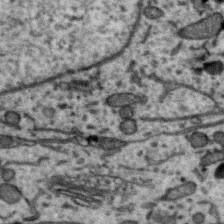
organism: Zebra finch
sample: Brain